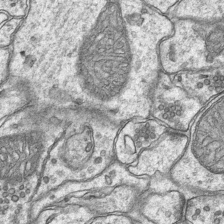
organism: Mouse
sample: CA1 Hippocampus